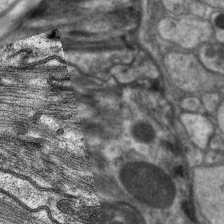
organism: C. elegans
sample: Pharynx